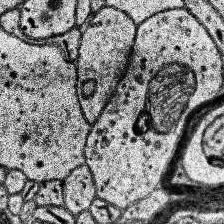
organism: Human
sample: Temporal Lobe